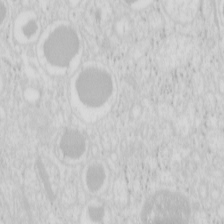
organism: Mouse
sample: Pancreas